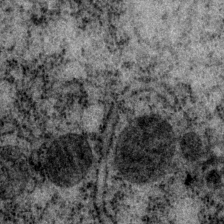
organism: P. pacificus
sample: Pharynx